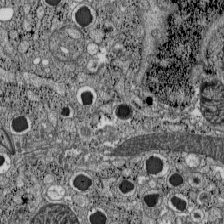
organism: C57BL Mouse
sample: Pancreatic islet